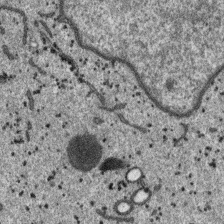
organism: Human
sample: Lung epithelial cells infected with SARS-CoV-2